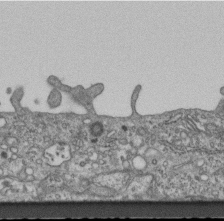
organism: Mouse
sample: Centriole in ependymal cells